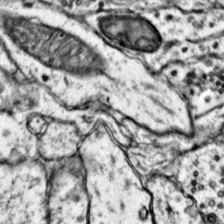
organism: Mouse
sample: Primary visual cortex